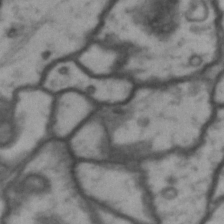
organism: Drosophila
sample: Brain